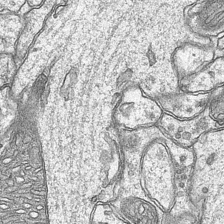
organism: Mouse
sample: CA1 Hippocampus